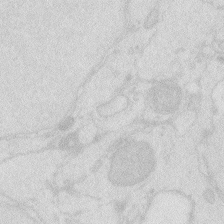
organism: Zebrafish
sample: Macrophage